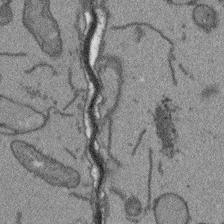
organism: Arabidopsis thaliana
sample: Root tip